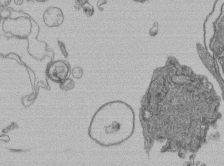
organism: Human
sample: Retinal organoid Rod and Cone cells